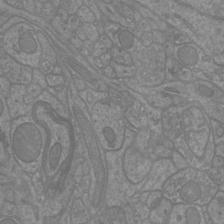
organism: Mouse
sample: Cortical neurons